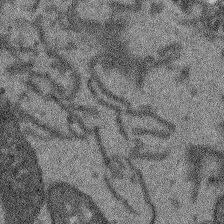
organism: Arabidopsis thaliana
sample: Root tip